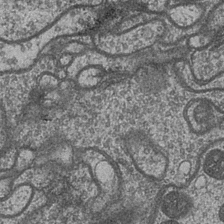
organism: Drosophila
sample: Optic medulla